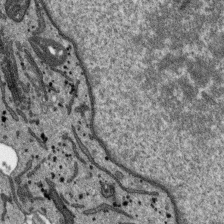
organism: Human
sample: Lung epithelial cells, uninfected (mock) control